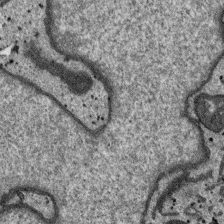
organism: Human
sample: Lung epithelial cells, uninfected (mock) control